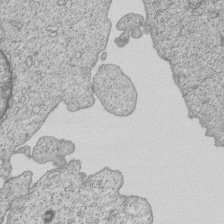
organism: Human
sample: MDA-MB-231 cells